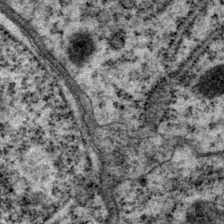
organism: P. pacificus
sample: Pharynx